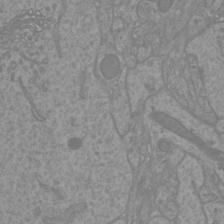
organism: Mouse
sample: Cortical neurons